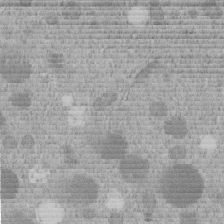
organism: C. elegans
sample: C. elegans embryo early stage